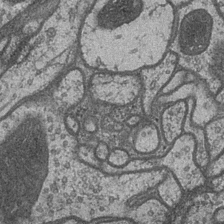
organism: Drosophila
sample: Optic medulla